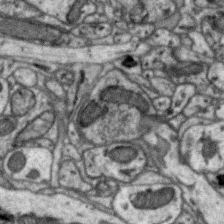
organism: Zebra finch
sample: Brain